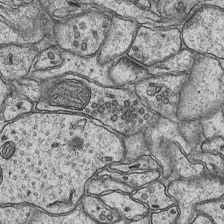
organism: Mouse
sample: CA1 Hippocampus